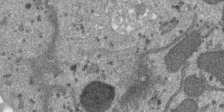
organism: Human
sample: Lung epithelial cells infected with SARS-CoV-2